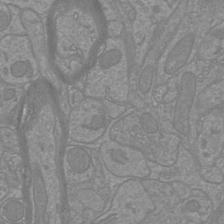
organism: Mouse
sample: Cortical neurons